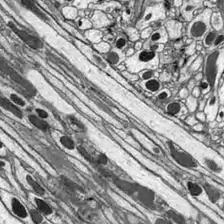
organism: Drosophila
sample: Optic lobe